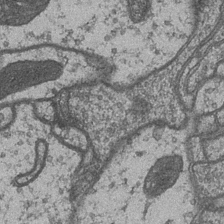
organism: Drosophila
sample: Optic medulla